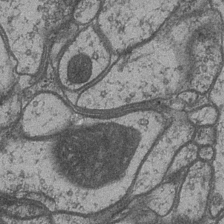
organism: Drosophila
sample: Optic medulla